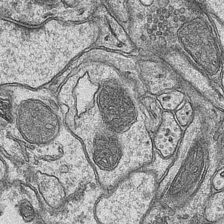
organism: Mouse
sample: CA1 Hippocampus